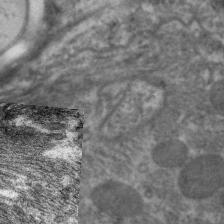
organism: C. elegans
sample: Pharynx